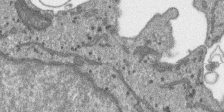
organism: Human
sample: Lung epithelial cells infected with SARS-CoV-2